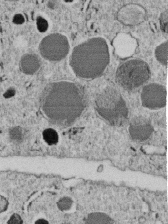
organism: C. elegans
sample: C. elegans embryo early stage